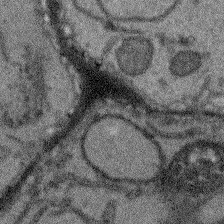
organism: Arabidopsis thaliana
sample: Root tip